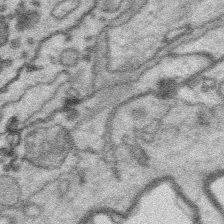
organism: Platynereis dumerilii